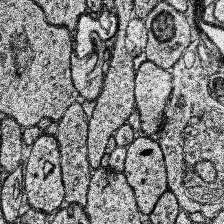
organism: Human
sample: Temporal Lobe